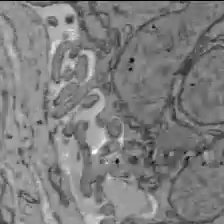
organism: C57BL Mouse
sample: Liver